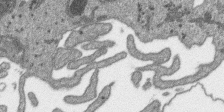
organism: Human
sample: Lung epithelial cells infected with SARS-CoV-2